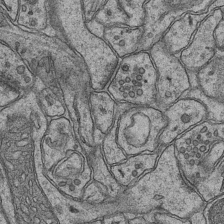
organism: Mouse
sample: CA1 Hippocampus